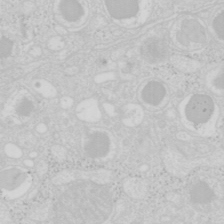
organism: Mouse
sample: Pancreas